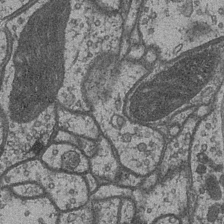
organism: Drosophila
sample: Optic medulla